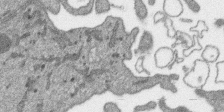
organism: Human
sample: Lung epithelial cells infected with SARS-CoV-2